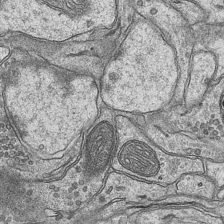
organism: Mouse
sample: CA1 Hippocampus